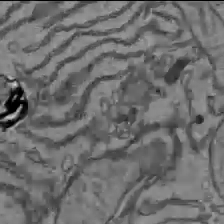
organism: C57BL Mouse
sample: Liver